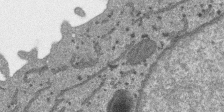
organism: Human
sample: Lung epithelial cells infected with SARS-CoV-2